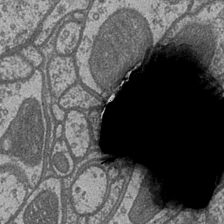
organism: Drosophila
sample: Optic medulla